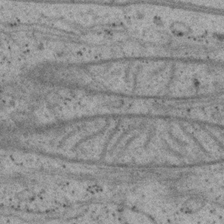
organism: Human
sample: HeLa cells